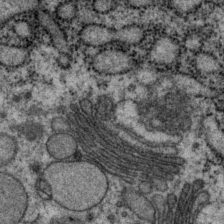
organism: P. pacificus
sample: Pharynx